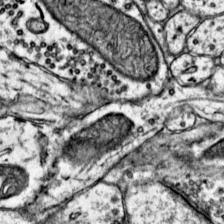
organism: Mouse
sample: Primary visual cortex